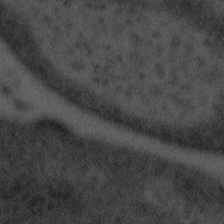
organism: Tuwongella immobilis